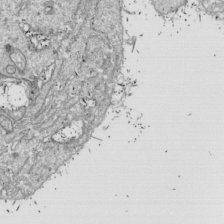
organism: Drosophila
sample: Cell division; meiosis; drosophila spermatocytes